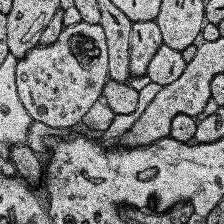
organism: Human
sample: Temporal Lobe